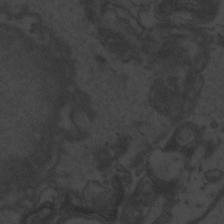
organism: Zebrafish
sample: Macrophage infected with Toxoplasma gondii